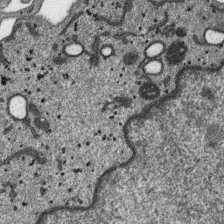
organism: Human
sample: Lung epithelial cells infected with SARS-CoV-2